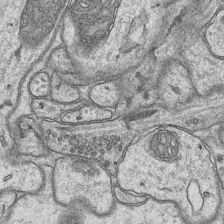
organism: Mouse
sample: CA1 Hippocampus